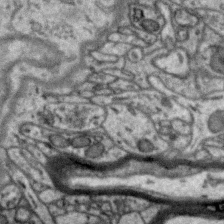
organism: Zebra finch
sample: Brain